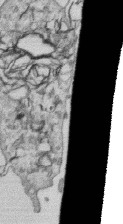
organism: Human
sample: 1205lu cells